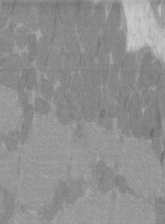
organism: C57BL Mouse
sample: Tibialis anterior muscle cell